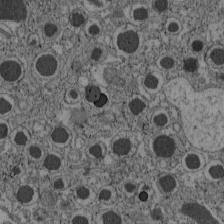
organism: C57BL Mouse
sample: Pancreatic islet